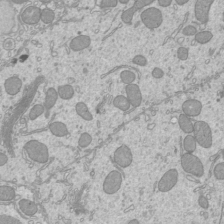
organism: Mouse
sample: Cilia; mouse epididymis